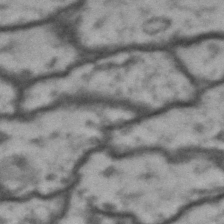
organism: Drosophila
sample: Brain